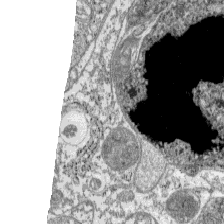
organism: C57BL Mouse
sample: Pancreatic islet